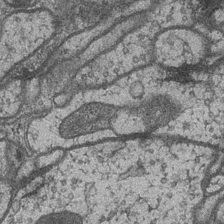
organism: Drosophila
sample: Optic medulla